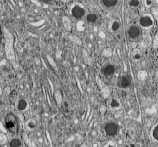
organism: C57BL Mouse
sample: Pancreatic islet